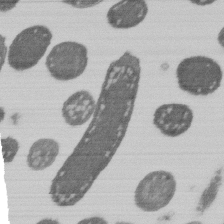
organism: E. coli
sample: Bacterial nucleoid